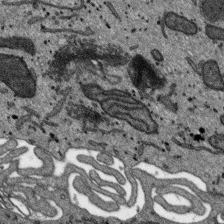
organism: Human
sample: Lung epithelial cells, uninfected (mock) control